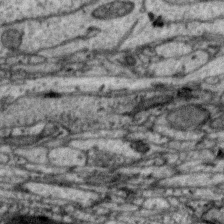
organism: Zebra finch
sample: Brain